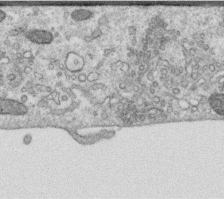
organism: Human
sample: Centriole in RPE cells